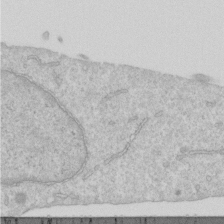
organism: Human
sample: Centriole in RPE cells